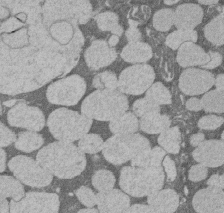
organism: Rat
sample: Salivary granule